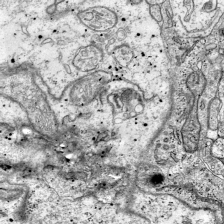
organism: Mouse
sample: Visual Cortex